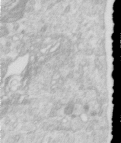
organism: Human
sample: Centriole in RPE cells